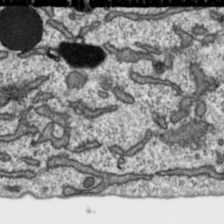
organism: Toxoplasma gondii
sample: Parasites in a vacuole inside a host cell